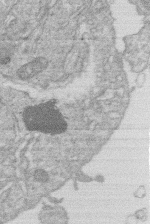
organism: Human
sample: Macrophage cells